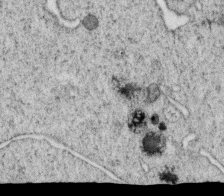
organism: C. elegans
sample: C. elegans oocyte; sperm cells